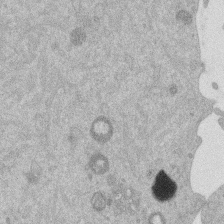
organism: Mouse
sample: Dividing mouse embryo 1 cell stage